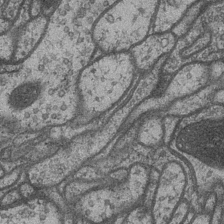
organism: Drosophila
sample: Optic medulla